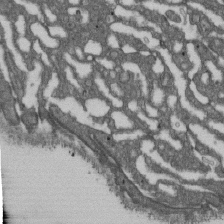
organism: Drosophila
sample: Nephrocyte